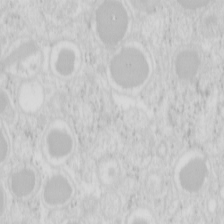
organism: Mouse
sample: Pancreas